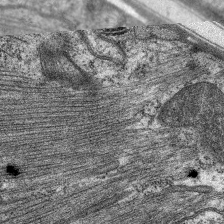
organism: C. elegans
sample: Pharynx